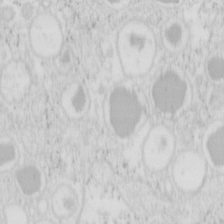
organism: Mouse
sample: Pancreas